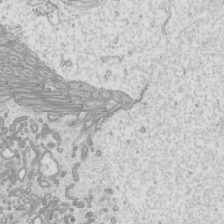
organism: Mouse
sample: Cilia; mouse epididymis